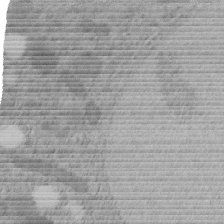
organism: C. elegans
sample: C. elegans embryo early stage